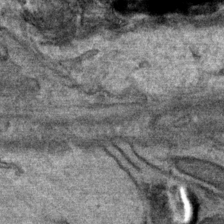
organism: Mouse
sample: Mouse Salivary gland